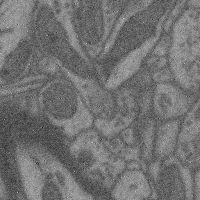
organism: Mouse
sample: Cerebral cortex